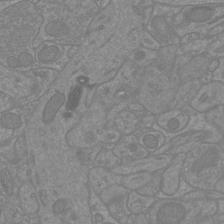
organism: Mouse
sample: Cortical neurons